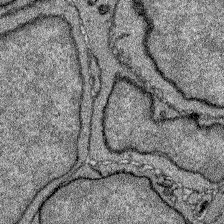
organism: Zebrafish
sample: Larval olfactory bulb